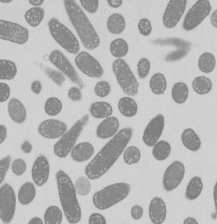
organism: E. coli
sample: Bacterial nucleoid